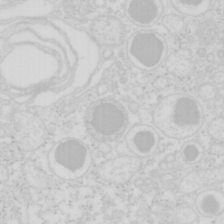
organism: Mouse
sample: Pancreas